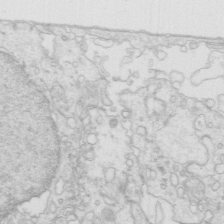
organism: Mouse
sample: Multiciliated cells